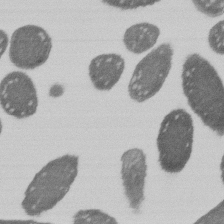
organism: E. coli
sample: Bacterial nucleoid